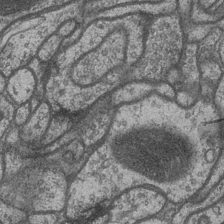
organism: Drosophila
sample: Optic medulla